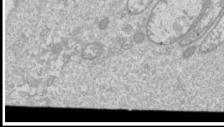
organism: Drosophila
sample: Cell division; meiosis; drosophila spermatocytes